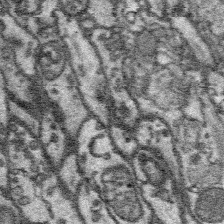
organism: Platynereis dumerilii